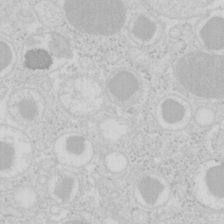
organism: Mouse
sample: Pancreas